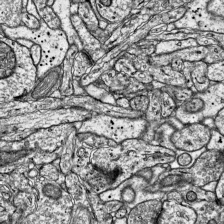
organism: Mouse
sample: Visual Cortex